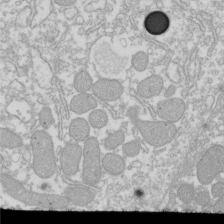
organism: Xenopus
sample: Cilia; centrioles in frog embryo cells